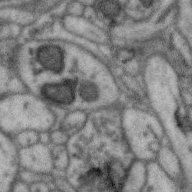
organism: Zebra finch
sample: Brain